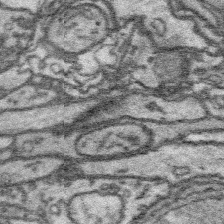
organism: Platynereis dumerilii